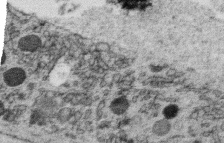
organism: C. elegans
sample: C. elegans oocyte; sperm cells